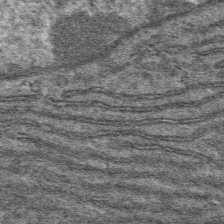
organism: Mouse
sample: Mouse hepatocytes